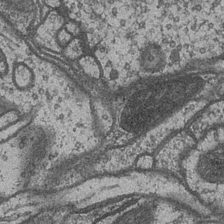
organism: Drosophila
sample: Optic medulla